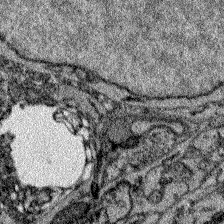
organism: Zebrafish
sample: Larval olfactory bulb